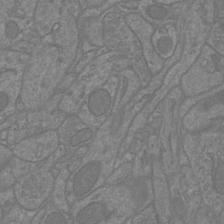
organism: Mouse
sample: Cortical neurons